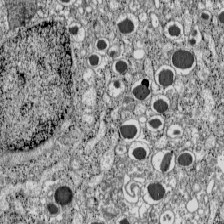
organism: C57BL Mouse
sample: Pancreatic islet